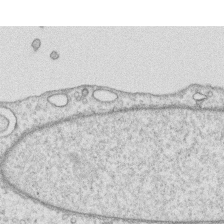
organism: Human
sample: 1205lu cells